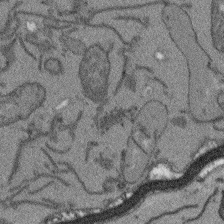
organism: Arabidopsis thaliana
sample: Root tip